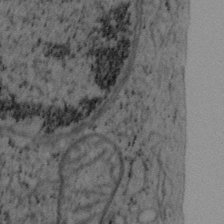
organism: Human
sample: HeLa cells